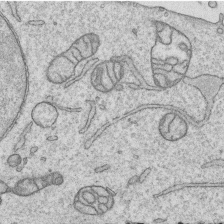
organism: Human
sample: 1205lu cells